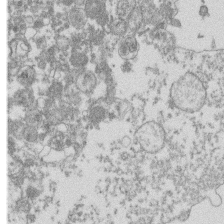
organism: Human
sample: HeLa cell HIV synapse